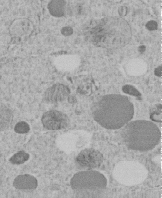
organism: C. elegans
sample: C. elegans embryo early stage